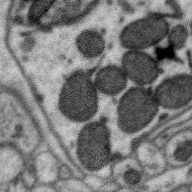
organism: Zebra finch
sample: Brain